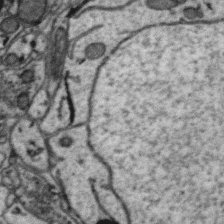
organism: Zebra finch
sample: Brain